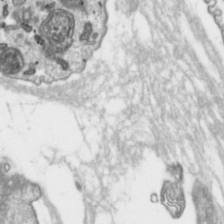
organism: Toxoplasma gondii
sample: Parasites in a vacuole inside a host cell